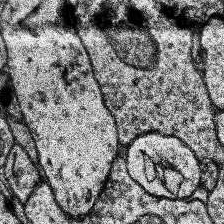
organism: Human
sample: Temporal Lobe